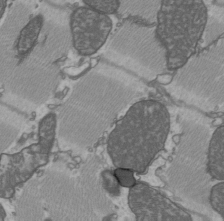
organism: C57BL Mouse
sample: Heart